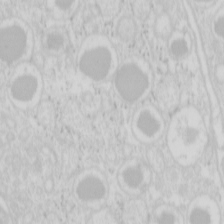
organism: Mouse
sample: Pancreas